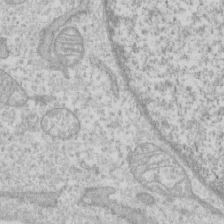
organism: Human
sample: CRL-1474